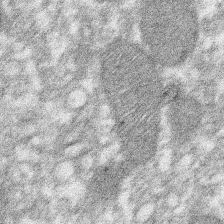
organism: Xenopus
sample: Cilia; centrioles in frog embryo cells